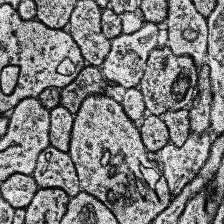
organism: Human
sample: Temporal Lobe